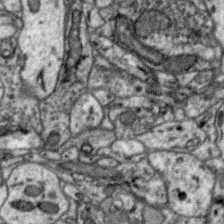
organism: Zebra finch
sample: Brain